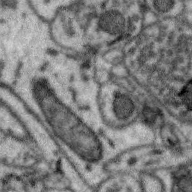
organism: Zebra finch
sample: Brain